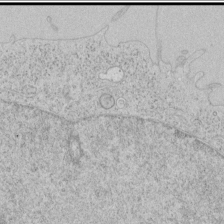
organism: Human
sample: Mitochondria in HCT116 cells